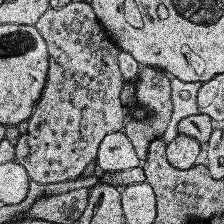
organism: Human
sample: Temporal Lobe